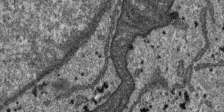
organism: Human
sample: Lung epithelial cells infected with SARS-CoV-2